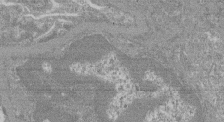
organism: Mouse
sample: Glomerulus